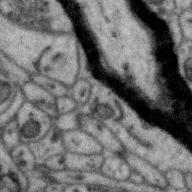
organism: Zebra finch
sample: Brain